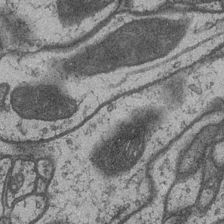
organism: Drosophila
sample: Optic medulla